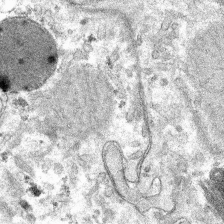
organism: Mouse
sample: Mouse hepatocytes